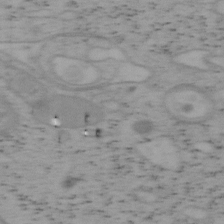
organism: Mouse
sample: OT-I killer T cells with ID8 ovarian cancer cells